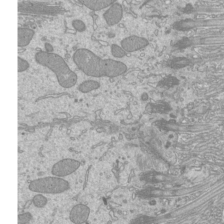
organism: Mouse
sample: Cilia; mouse epididymis